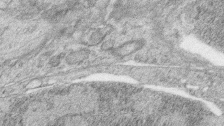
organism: Zebrafish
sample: synaptic ribbons in rod cells and cone cells